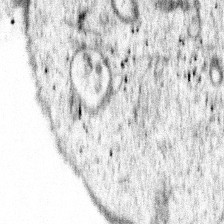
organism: Human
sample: HeLa cells